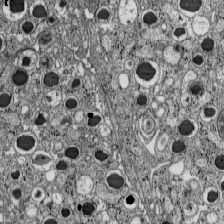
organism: C57BL Mouse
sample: Pancreatic islet